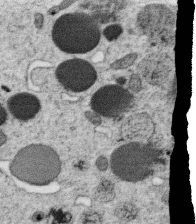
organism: C. elegans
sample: C. elegans oocyte; sperm cells